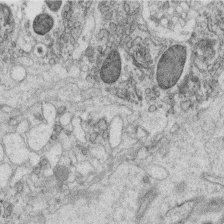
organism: C. elegans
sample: C. elegans oocyte; sperm cells